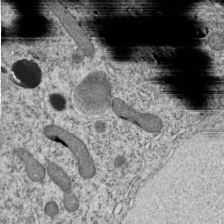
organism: C. elegans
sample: C. elegans embryo early stage